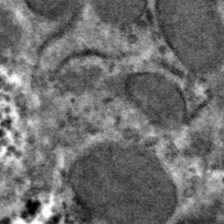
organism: Mouse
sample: Mouse hepatocytes